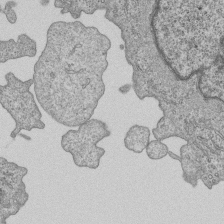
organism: Human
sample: MDA-MB-231 cells